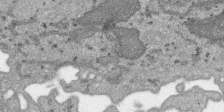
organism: Human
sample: Lung epithelial cells infected with SARS-CoV-2